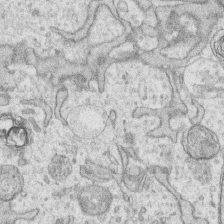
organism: Human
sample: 1205lu cells